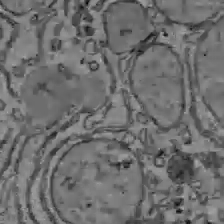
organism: C57BL Mouse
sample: Liver